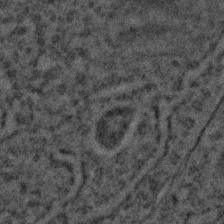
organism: C. elegans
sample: C. elegans embryo